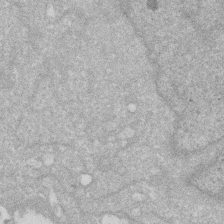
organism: Human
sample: HIV infected U937 cells